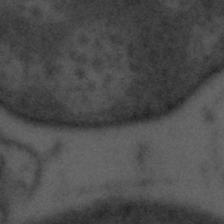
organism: Tuwongella immobilis